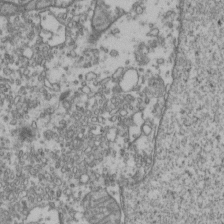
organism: Human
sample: Activated Jurkat CD4+ T cells